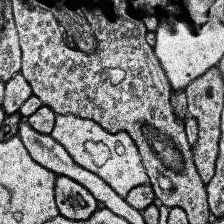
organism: Human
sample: Temporal Lobe